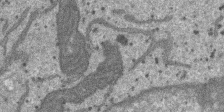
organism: Human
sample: Lung epithelial cells infected with SARS-CoV-2